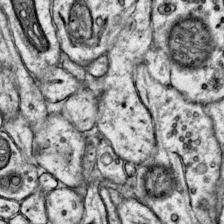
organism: Mouse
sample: Primary visual cortex